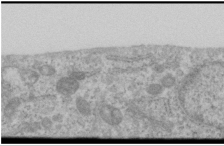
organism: Human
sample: Cilia; basal body in RPE cells